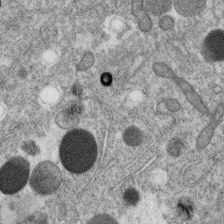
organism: C. elegans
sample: C. elegans oocyte; sperm cells